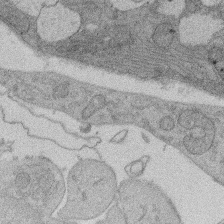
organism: Rat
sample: Salivary granule